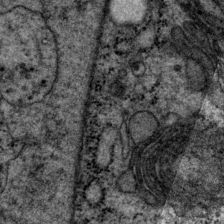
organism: P. pacificus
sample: Pharynx